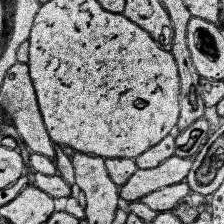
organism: Human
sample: Temporal Lobe